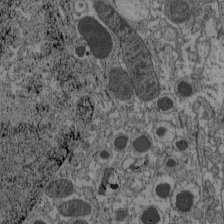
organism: C57BL Mouse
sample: Pancreatic islet